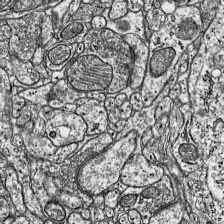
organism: Mouse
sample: Visual Cortex